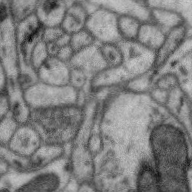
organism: Zebra finch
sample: Brain